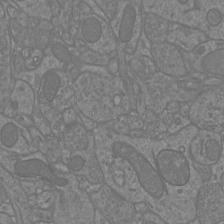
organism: Mouse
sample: Cortical neurons